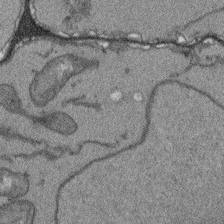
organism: Arabidopsis thaliana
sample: Root tip